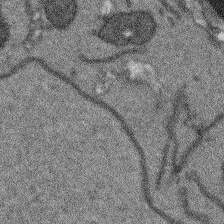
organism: Arabidopsis thaliana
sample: Root tip